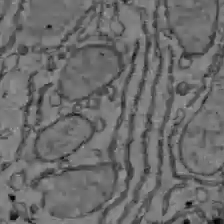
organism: C57BL Mouse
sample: Liver